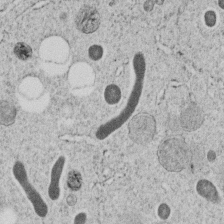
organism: C. elegans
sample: C. elegans embryo early stage